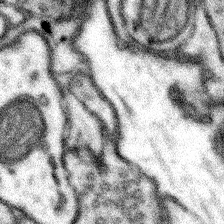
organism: Mouse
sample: Somatosensory cortex neuropil